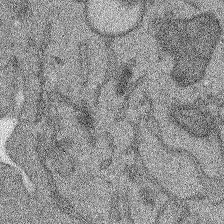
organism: Human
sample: HeLa cells